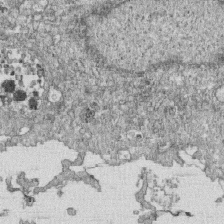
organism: Human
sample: HeLa cell HIV synapse